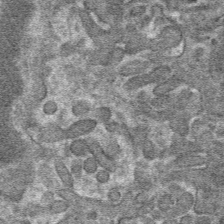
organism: Mouse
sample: Mouse hepatocytes